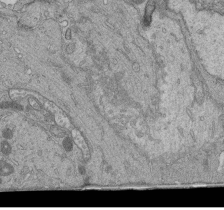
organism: Human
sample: Retinal organoid Rod and Cone cells